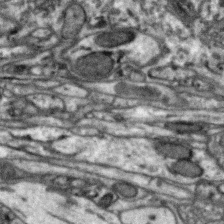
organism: Zebra finch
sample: Brain